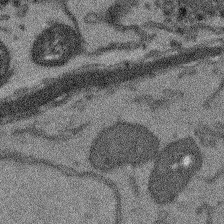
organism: Arabidopsis thaliana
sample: Root tip